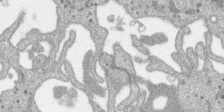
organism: Human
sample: Lung epithelial cells infected with SARS-CoV-2